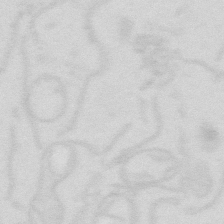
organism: Human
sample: HeLa cells